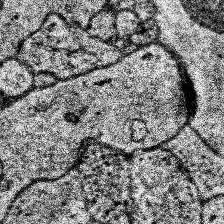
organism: Human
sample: Temporal Lobe